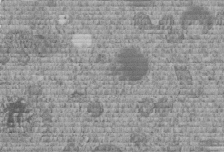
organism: C. elegans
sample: C. elegans embryo early stage